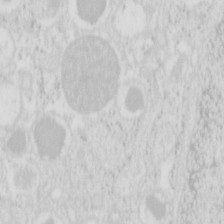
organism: Mouse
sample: Pancreas